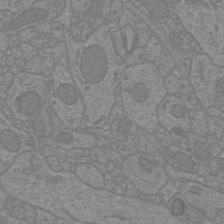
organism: Mouse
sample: Cortical neurons